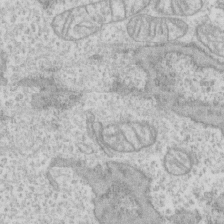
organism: Human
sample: CRL-1474